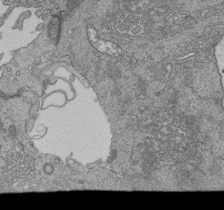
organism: Human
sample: Retinal organoid Rod and Cone cells